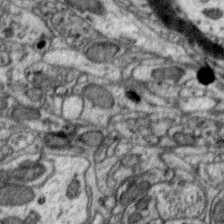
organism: Zebra finch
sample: Brain